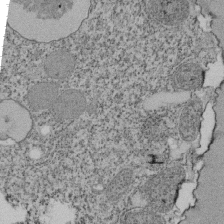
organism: Tetrahymena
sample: Cilia in tetrahymena